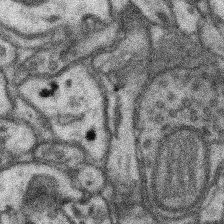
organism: Mouse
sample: Somatosensory cortex neuropil